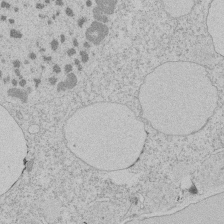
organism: Tetrahymena